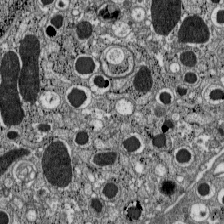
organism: C57BL Mouse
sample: Pancreatic islet